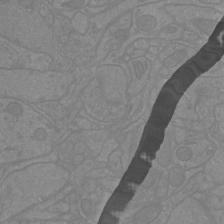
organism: Mouse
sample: Cortical neurons